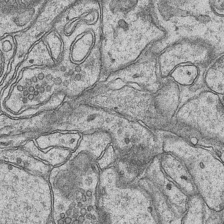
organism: Mouse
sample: CA1 Hippocampus